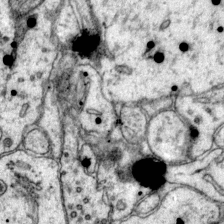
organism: Mouse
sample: Primary visual cortex